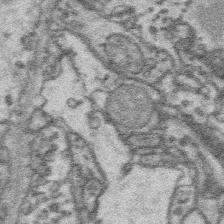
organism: Platynereis dumerilii